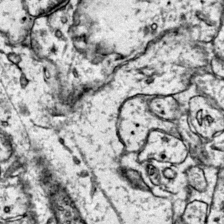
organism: Mouse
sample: Primary visual cortex